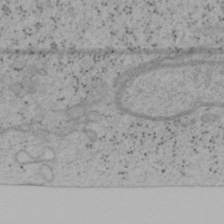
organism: Human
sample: HeLa cells